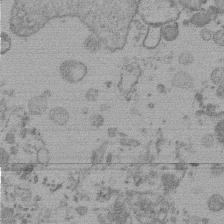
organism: Mouse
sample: Dividing mouse embryo 1 cell stage